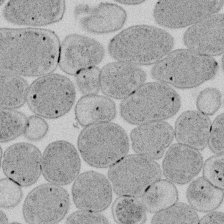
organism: E. coli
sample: Bacterial nucleoid